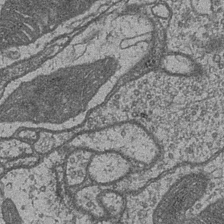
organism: Drosophila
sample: Optic medulla